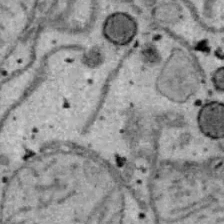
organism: Mouse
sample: Liver from an obese (ob/ob) mouse